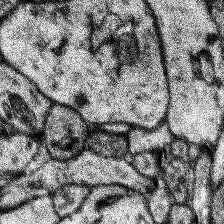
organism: Human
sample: Temporal Lobe